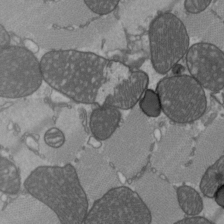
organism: C57BL Mouse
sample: Heart